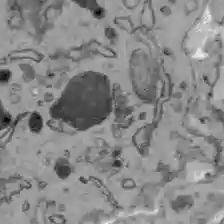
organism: C57BL Mouse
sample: Liver